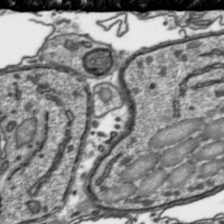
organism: Toxoplasma gondii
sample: Parasites in a vacuole inside a host cell